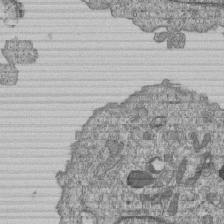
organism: Human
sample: MDA-MB-231 cells